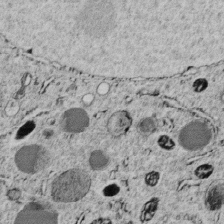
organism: C. elegans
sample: C. elegans embryo early stage